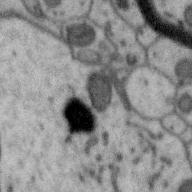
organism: Zebra finch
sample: Brain